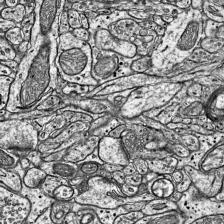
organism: Mouse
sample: Visual Cortex